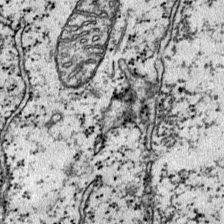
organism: Mouse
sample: Primary visual cortex